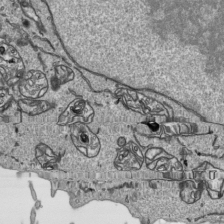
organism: Human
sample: Mitochondria in HCT116 cells